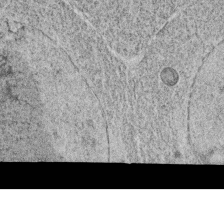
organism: C. elegans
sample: C. elegans oocyte; sperm cells